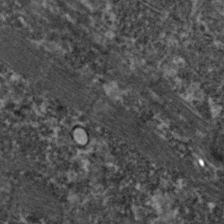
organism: Zebrafish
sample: Zebrafish embryo